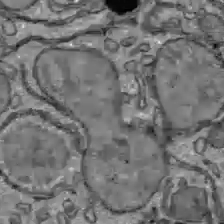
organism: C57BL Mouse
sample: Liver